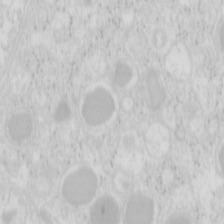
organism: Mouse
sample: Pancreas